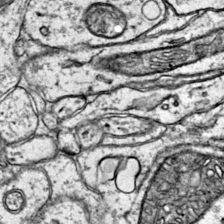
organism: Mouse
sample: Primary visual cortex